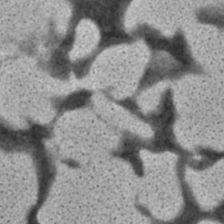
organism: C. elegans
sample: C. elegans embryo